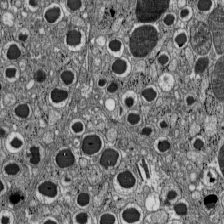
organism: C57BL Mouse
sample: Pancreatic islet